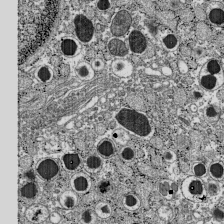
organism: C57BL Mouse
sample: Pancreatic islet